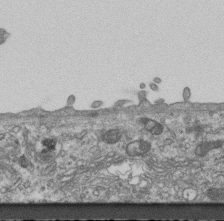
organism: Mouse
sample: Centriole in ependymal cells